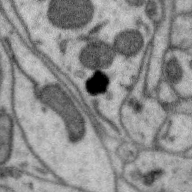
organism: Zebra finch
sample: Brain